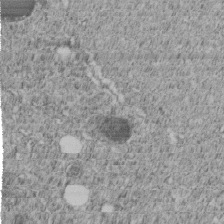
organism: C. elegans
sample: C. elegans embryo early stage